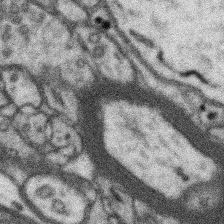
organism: Mouse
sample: Somatosensory cortex neuropil